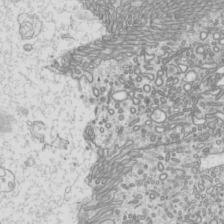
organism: Mouse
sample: Cilia; mouse epididymis